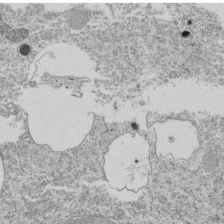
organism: Tetrahymena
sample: Cilia in tetrahymena